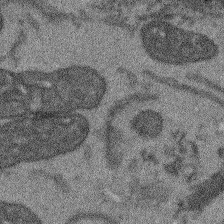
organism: Arabidopsis thaliana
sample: Root tip